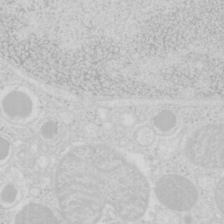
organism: Mouse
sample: Pancreas